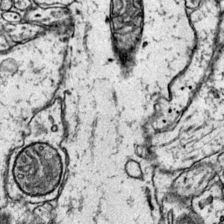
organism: Mouse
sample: Primary visual cortex